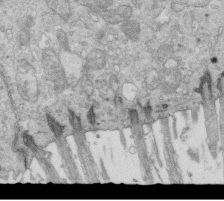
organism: Mouse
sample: Multiciliated cells